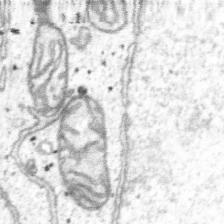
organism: Human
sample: HeLa cells